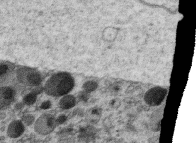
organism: C. elegans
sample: C. elegans oocyte; sperm cells